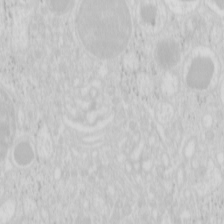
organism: Mouse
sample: Pancreas